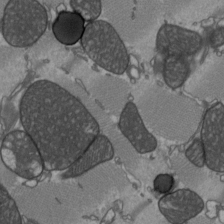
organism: C57BL Mouse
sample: Heart